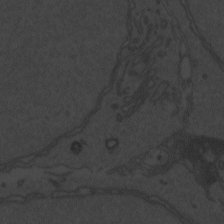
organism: Zebrafish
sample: Macrophage infected with Toxoplasma gondii